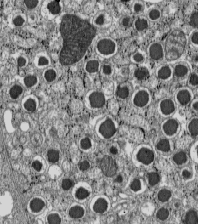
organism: C57BL Mouse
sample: Pancreatic islet